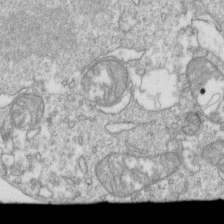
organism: Mouse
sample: Activated OT-1 CD8+ T cells